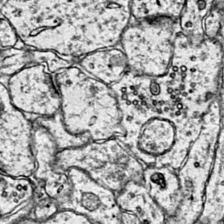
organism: Mouse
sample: Primary visual cortex